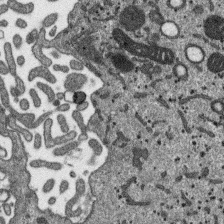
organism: Human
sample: Lung epithelial cells infected with SARS-CoV-2